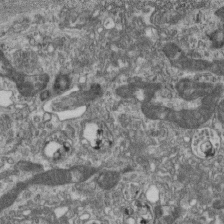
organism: Mouse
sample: Centriole in ependymal cells